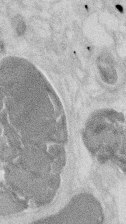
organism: Mouse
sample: T cell stromal cell synapse